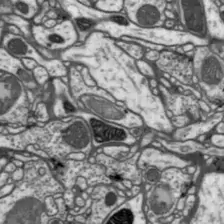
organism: Drosophila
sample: Protocerebral bridge